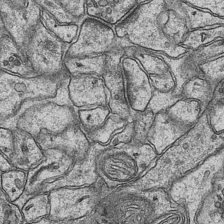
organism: Mouse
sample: CA1 Hippocampus